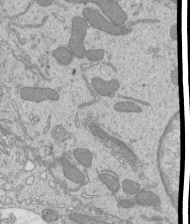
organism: Mouse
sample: Cilia; mouse epididymis